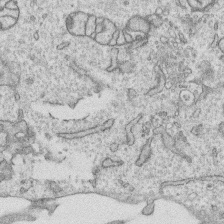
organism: Human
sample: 1205lu cells